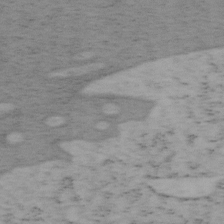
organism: Mouse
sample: OT-I killer T cells with ID8 ovarian cancer cells